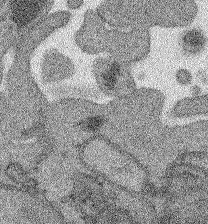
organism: Human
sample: HeLa cells